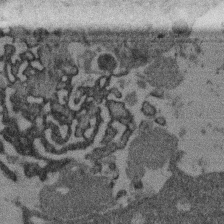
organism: Mouse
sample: Dividing mouse embryo 1 cell stage